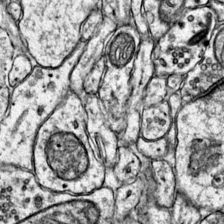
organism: Mouse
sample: Primary visual cortex